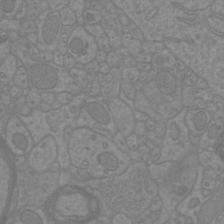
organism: Mouse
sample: Cortical neurons